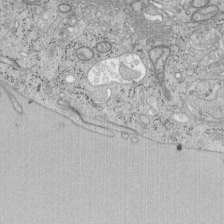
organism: Mouse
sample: OT-I killer T cells with ID8 ovarian cancer cells